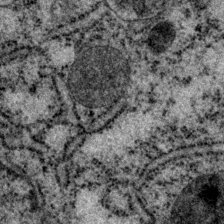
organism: P. pacificus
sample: Pharynx